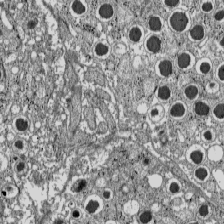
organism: C57BL Mouse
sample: Pancreatic islet